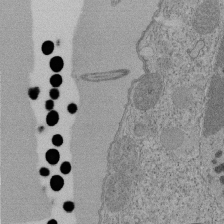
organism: Tetrahymena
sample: Cilia in tetrahymena